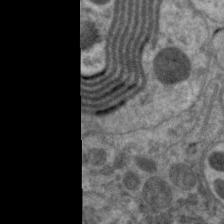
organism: C. elegans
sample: Pharynx